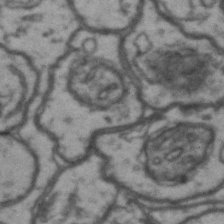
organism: Drosophila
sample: Brain